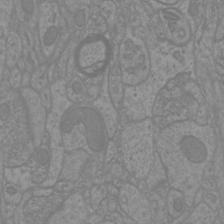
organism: Mouse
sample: Cortical neurons